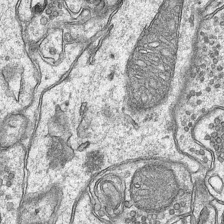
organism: Mouse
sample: CA1 Hippocampus